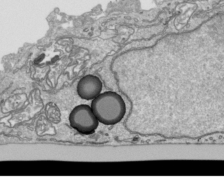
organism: Human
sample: Mitochondria in HCT116 cells